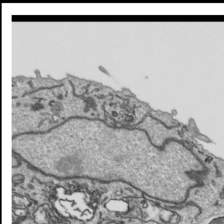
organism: Human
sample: Mitochondria in HCT116 cells